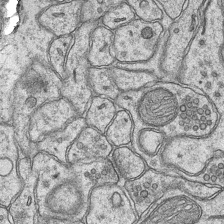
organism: Mouse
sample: CA1 Hippocampus